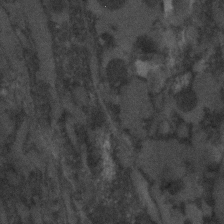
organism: C. elegans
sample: C. elegans embryo